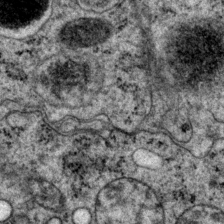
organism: P. pacificus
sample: Pharynx